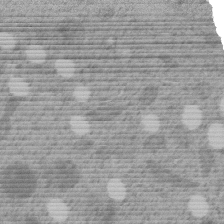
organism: C. elegans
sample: C. elegans embryo early stage